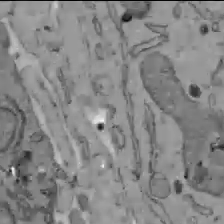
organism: C57BL Mouse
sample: Liver